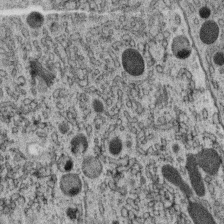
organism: C. elegans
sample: C. elegans oocyte; sperm cells